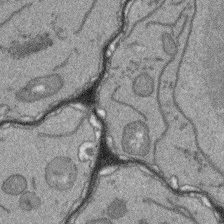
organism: Arabidopsis thaliana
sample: Root tip